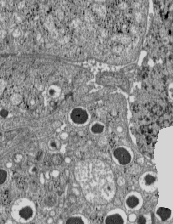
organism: C57BL Mouse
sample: Pancreatic islet